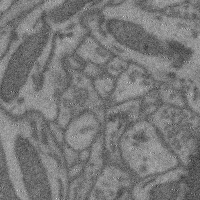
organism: Mouse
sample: Cerebral cortex